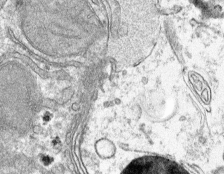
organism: Mouse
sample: Mouse hepatocytes